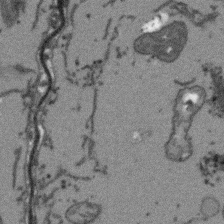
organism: Arabidopsis thaliana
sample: Root tip